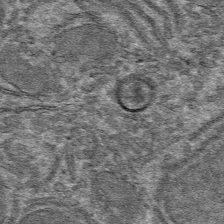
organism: Mouse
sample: Mouse hepatocytes